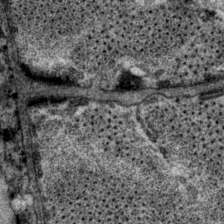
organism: P. pacificus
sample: Pharynx